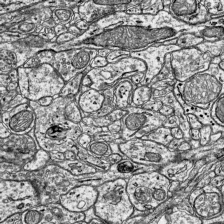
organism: Mouse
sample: Visual Cortex